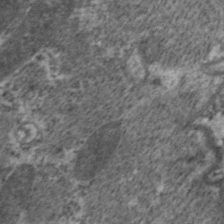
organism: C. elegans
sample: Pharynx